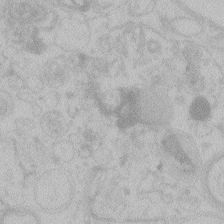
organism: Zebrafish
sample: Macrophage infected with Toxoplasma gondii